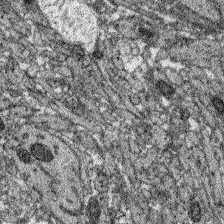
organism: Zebrafish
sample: Larval olfactory bulb